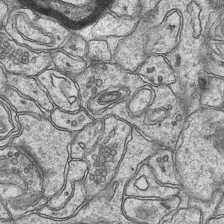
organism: Mouse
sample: CA1 Hippocampus